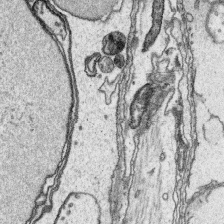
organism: Platynereis dumerilii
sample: Parapodia